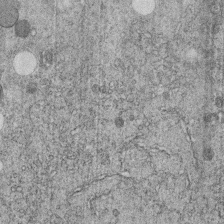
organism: C. elegans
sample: C. elegans embryo early stage